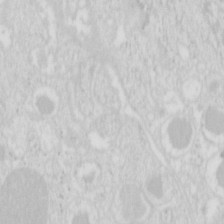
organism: Mouse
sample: Pancreas